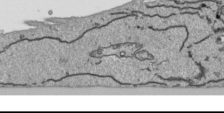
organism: Human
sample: Mitochondria in HCT116 cells